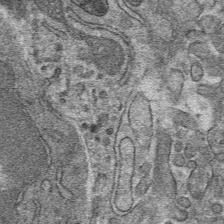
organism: Mouse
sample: Mouse hepatocytes